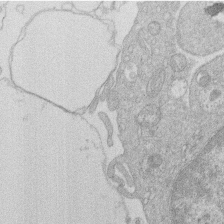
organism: Human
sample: Macrophage cells